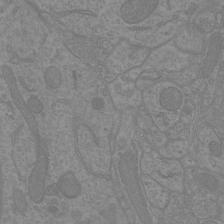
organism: Mouse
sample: Cortical neurons